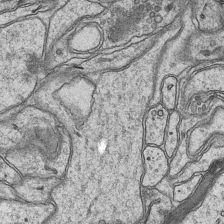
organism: Mouse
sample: CA1 Hippocampus